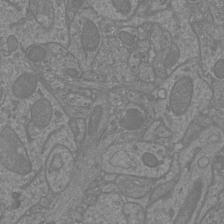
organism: Mouse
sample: Cortical neurons